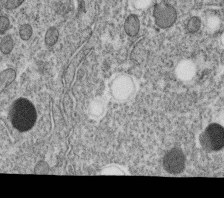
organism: C. elegans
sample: C. elegans oocyte; sperm cells